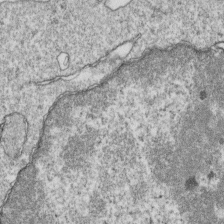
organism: Mouse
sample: Activated OT-1 CD8+ T cells